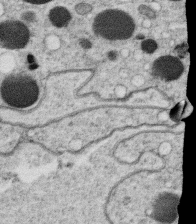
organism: C. elegans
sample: C. elegans oocyte; sperm cells